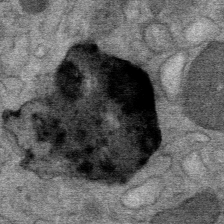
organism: Mouse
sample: Mouse Salivary gland